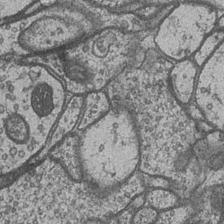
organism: Drosophila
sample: Optic medulla